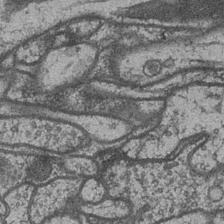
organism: Drosophila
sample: Optic medulla